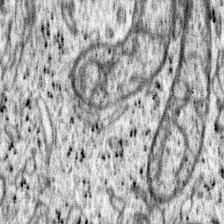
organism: Human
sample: HeLa cells